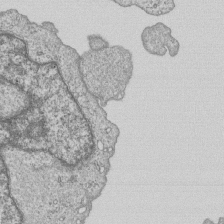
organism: Human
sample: MDA-MB-231 cells